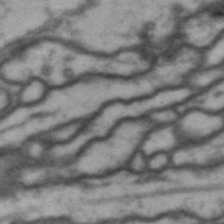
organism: Drosophila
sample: Brain